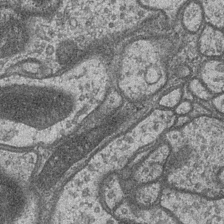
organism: Drosophila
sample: Optic medulla